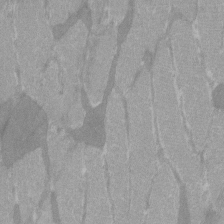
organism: C57BL Mouse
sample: Tibialis anterior muscle cell